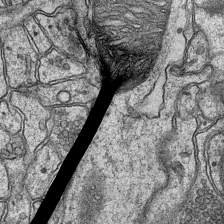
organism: Mouse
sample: CA1 Hippocampus